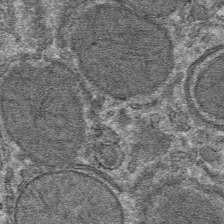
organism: Mouse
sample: Mouse hepatocytes